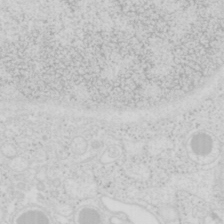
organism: Mouse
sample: Pancreas